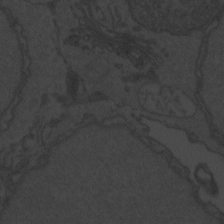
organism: Zebrafish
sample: Macrophage infected with Toxoplasma gondii